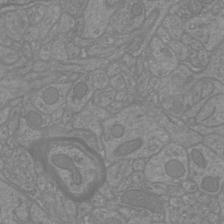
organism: Mouse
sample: Cortical neurons